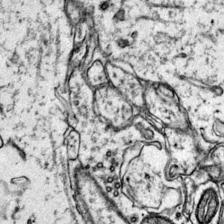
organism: Mouse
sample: Primary visual cortex